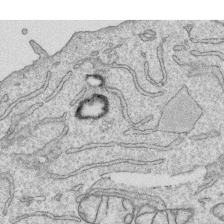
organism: Human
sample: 1205lu cells